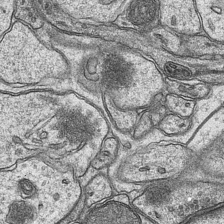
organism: Mouse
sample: CA1 Hippocampus